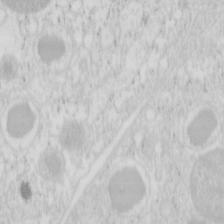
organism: Mouse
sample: Pancreas